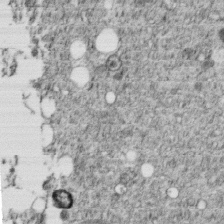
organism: C. elegans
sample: C. elegans embryo early stage